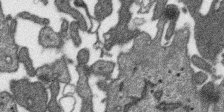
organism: Human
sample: Lung epithelial cells infected with SARS-CoV-2